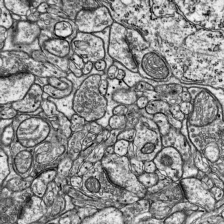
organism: Mouse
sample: Visual Cortex